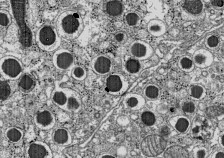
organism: C57BL Mouse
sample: Pancreatic islet